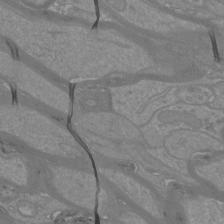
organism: Mouse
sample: Cortical neurons